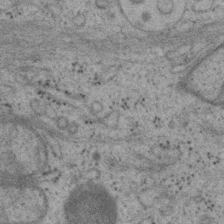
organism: Human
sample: HeLa cells